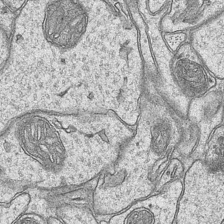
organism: Mouse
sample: CA1 Hippocampus